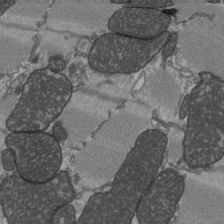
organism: C57BL Mouse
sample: Heart